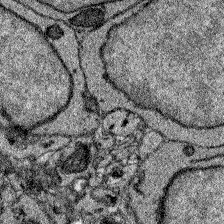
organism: Zebrafish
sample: Larval olfactory bulb